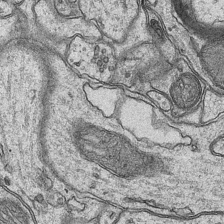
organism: Mouse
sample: CA1 Hippocampus